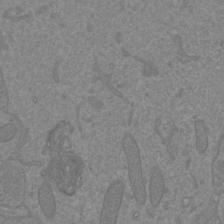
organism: Mouse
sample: Cortical neurons